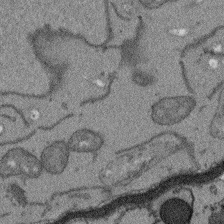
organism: Arabidopsis thaliana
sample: Root tip